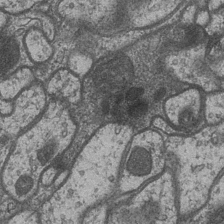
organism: Drosophila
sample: Optic medulla